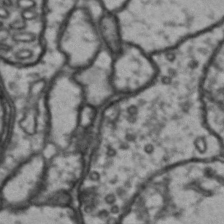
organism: Drosophila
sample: Brain